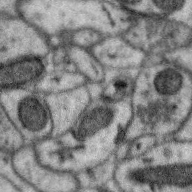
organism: Zebra finch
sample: Brain